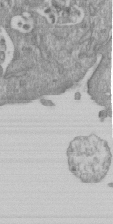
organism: Mouse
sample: ED-1 cell nuclei; centrioles